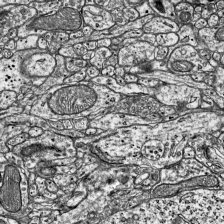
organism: Mouse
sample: Visual Cortex